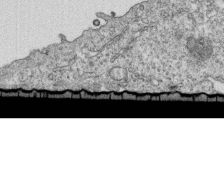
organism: Human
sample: HeLa cell HIV synapse